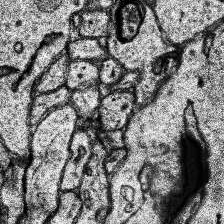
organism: Human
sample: Temporal Lobe